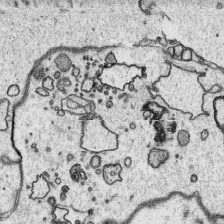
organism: Platynereis dumerilii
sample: Parapodia